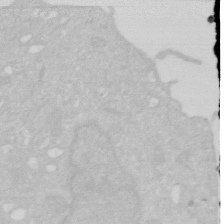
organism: Human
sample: HIV infected U937 cells